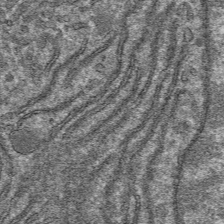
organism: Mouse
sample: Mouse hepatocytes